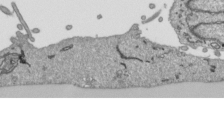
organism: Human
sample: Mitochondria in HCT116 cells